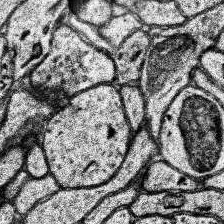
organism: Human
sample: Temporal Lobe